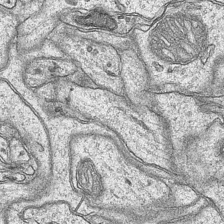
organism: Mouse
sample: CA1 Hippocampus